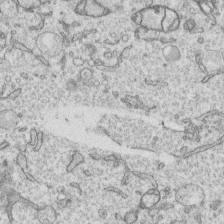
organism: Human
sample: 1205lu cells